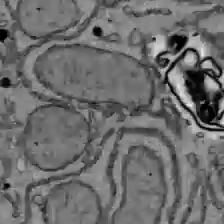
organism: C57BL Mouse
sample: Liver